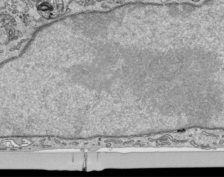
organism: Human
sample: Mitochondria in HCT116 cells